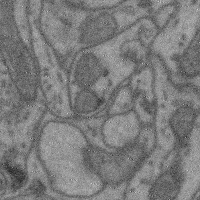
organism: Mouse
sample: Cerebral cortex